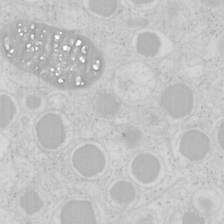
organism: Mouse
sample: Pancreas